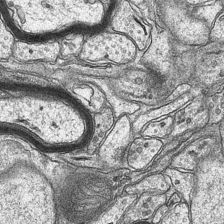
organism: Mouse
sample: CA1 Hippocampus